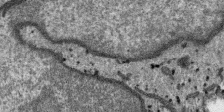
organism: Human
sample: Lung epithelial cells, uninfected (mock) control